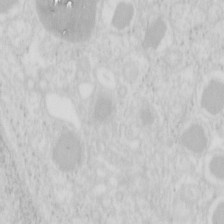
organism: Mouse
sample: Pancreas